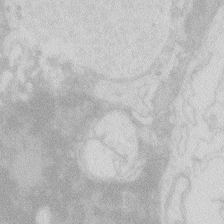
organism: Zebrafish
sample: Macrophage